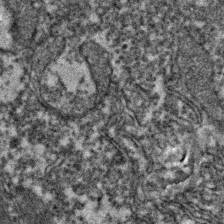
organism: Zebrafish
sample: Zebrafish embryo